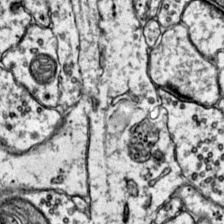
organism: Mouse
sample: Primary visual cortex